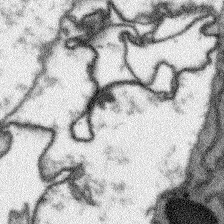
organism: Arabidopsis thaliana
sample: Root tip